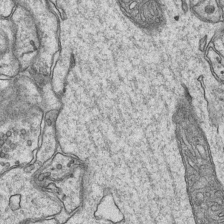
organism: Mouse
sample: CA1 Hippocampus